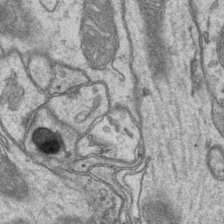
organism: Mouse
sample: CA1 Hippocampus